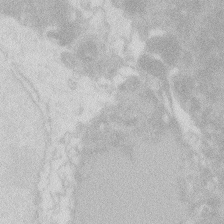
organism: Zebrafish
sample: Macrophage